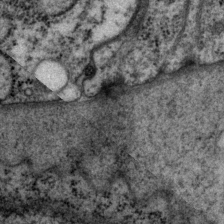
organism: P. pacificus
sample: Pharynx